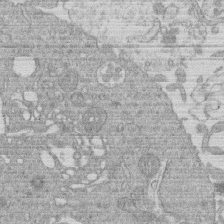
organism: Human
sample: Macrophage cells